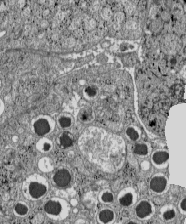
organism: C57BL Mouse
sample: Pancreatic islet